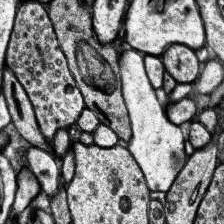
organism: Human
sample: Temporal Lobe